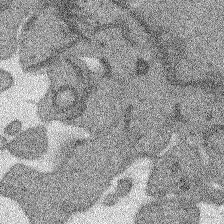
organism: Human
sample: HeLa cells